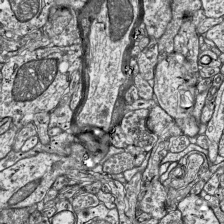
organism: Mouse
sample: Visual Cortex